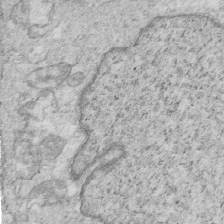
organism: Mouse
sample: Multiciliated cells